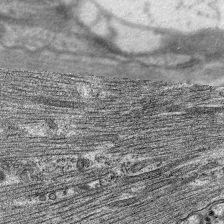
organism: C. elegans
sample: Pharynx